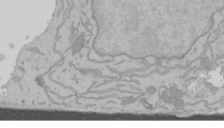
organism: Mouse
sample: Cancer cell death in ED-1 cells